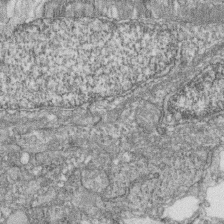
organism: Zebrafish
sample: Cilia; retinal pigment epithelium